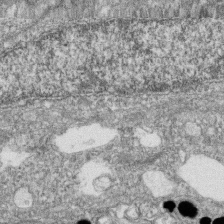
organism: Zebrafish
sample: Cilia; retinal pigment epithelium